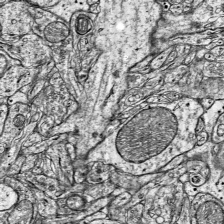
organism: Mouse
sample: Visual Cortex